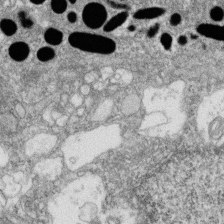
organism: Zebrafish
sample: Cilia; retinal pigment epithelium